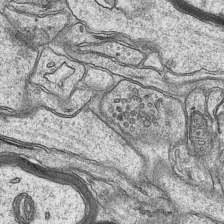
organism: Mouse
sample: CA1 Hippocampus